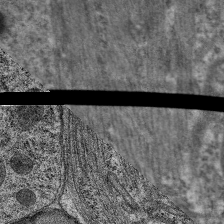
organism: C. elegans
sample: Pharynx